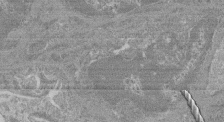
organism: Mouse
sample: Glomerulus